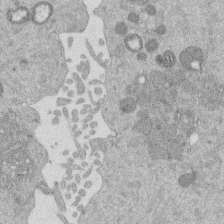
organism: Mouse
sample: Dividing mouse embryo 1 cell stage